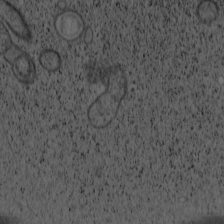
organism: African green monkey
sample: COS-7 cells